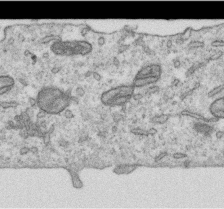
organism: Human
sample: Centriole in RPE cells